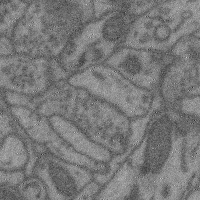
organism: Mouse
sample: Cerebral cortex